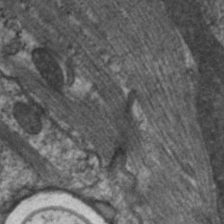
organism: C. elegans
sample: Pharynx